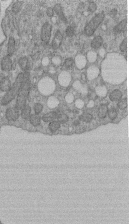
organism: Human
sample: Retinal organoid Rod and Cone cells